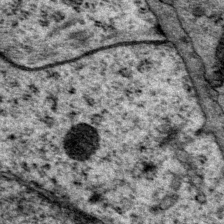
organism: P. pacificus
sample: Pharynx